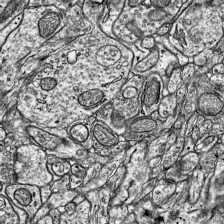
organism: Mouse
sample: Visual Cortex